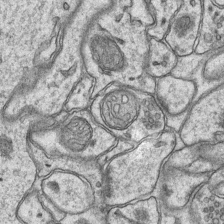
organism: Mouse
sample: CA1 Hippocampus